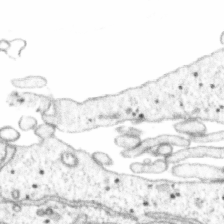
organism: Human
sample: HeLa cells